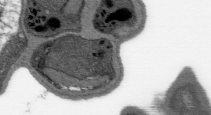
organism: Plasmodium falciparum